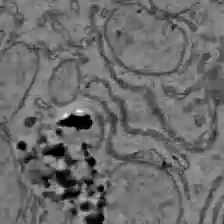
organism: C57BL Mouse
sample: Liver